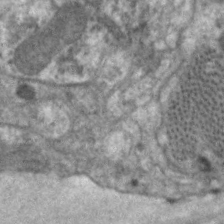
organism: C. elegans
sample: Pharynx